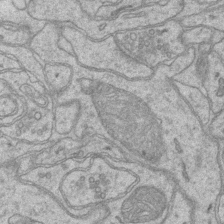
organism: Mouse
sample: CA1 Hippocampus